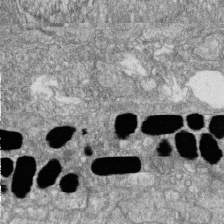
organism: Zebrafish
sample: Cilia; retinal pigment epithelium